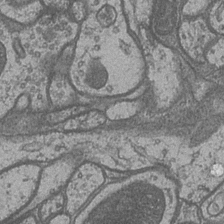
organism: Drosophila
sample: Optic medulla